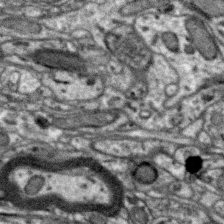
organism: Zebra finch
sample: Brain